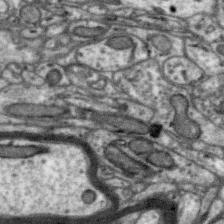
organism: Zebra finch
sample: Brain